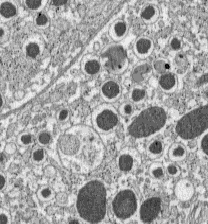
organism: C57BL Mouse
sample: Pancreatic islet